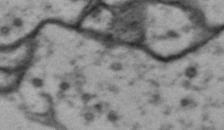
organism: Drosophila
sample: Brain